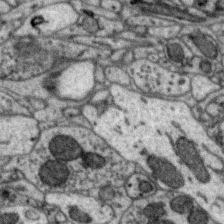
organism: Zebra finch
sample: Brain